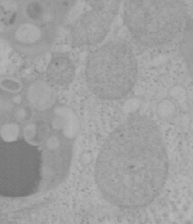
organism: Mouse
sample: OT-I killer T cells with ID8 ovarian cancer cells